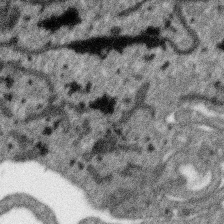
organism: Human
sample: Lung epithelial cells infected with SARS-CoV-2